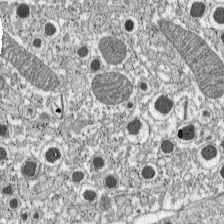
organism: C57BL Mouse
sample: Pancreatic islet